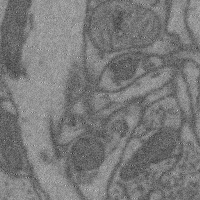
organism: Mouse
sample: Cerebral cortex